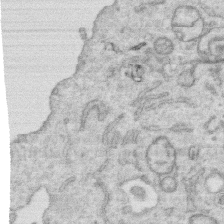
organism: Human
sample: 1205lu cells